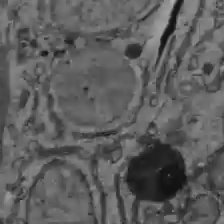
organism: C57BL Mouse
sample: Liver